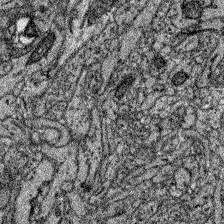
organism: Zebrafish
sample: Larval olfactory bulb